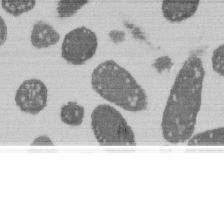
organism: E. coli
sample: Bacterial nucleoid